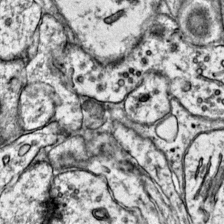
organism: Mouse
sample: Primary visual cortex